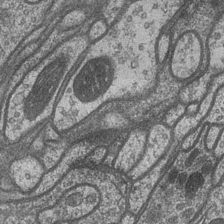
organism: Drosophila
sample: Optic medulla